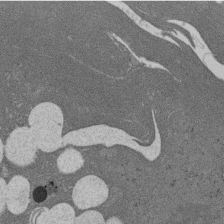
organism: Rat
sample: Salivary granule